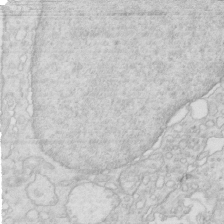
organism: Mouse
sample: Multiciliated cells